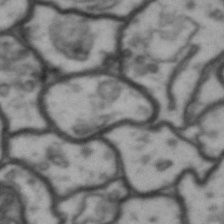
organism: Drosophila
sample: Brain